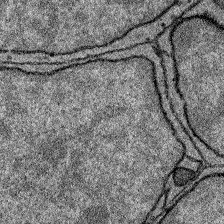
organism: Zebrafish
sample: Larval olfactory bulb